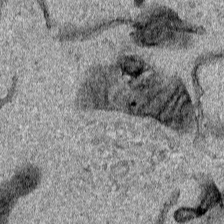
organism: Human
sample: Mitochondria in HCT116 cells